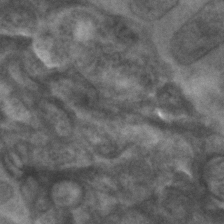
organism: C. elegans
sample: C. elegans embryo